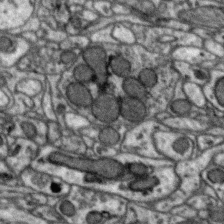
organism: Zebra finch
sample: Brain